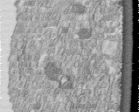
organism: Human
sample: Centriole in fibroblast cells